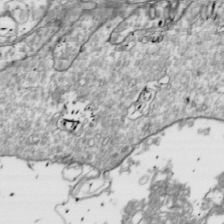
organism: Drosophila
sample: Cell division; meiosis; drosophila spermatocytes